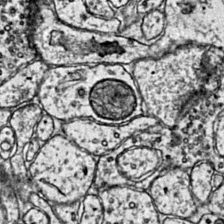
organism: Mouse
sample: Primary visual cortex